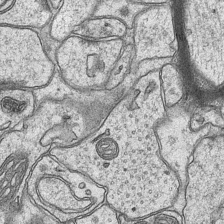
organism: Mouse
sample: CA1 Hippocampus